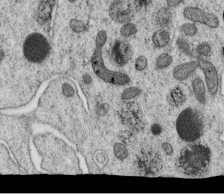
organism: C. elegans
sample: C. elegans oocyte; sperm cells